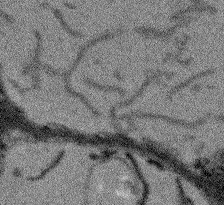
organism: Arabidopsis thaliana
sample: Root tip